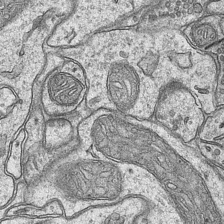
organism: Mouse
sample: CA1 Hippocampus